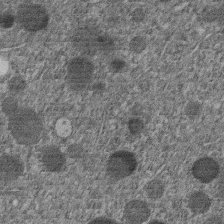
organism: C. elegans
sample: C. elegans embryo early stage